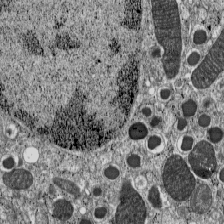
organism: C57BL Mouse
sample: Pancreatic islet